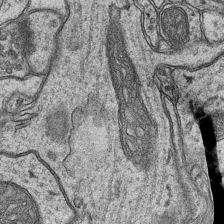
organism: Mouse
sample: CA1 Hippocampus